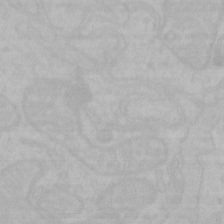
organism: Mouse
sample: Choroid plexus